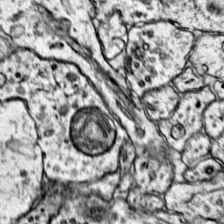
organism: Mouse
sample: Primary visual cortex